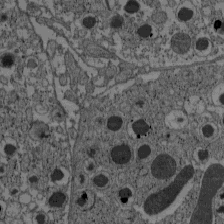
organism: C57BL Mouse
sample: Pancreatic islet